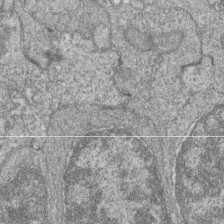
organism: Zebrafish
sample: Cilia; retinal pigment epithelium